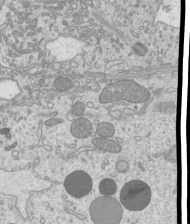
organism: Mouse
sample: Cilia; mouse epididymis